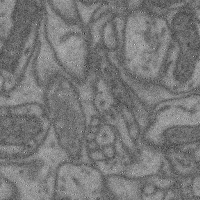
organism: Mouse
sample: Cerebral cortex